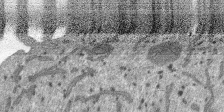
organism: Human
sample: Lung epithelial cells infected with SARS-CoV-2